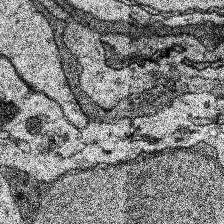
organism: Human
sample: Temporal Lobe